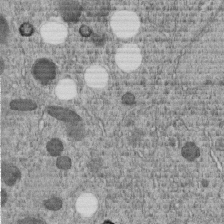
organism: C. elegans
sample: C. elegans embryo early stage